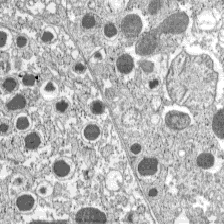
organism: C57BL Mouse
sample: Pancreatic islet